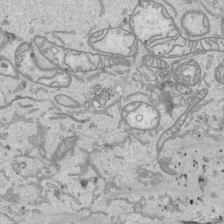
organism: Human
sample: Mitochondria in HCT116 cells